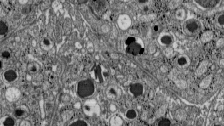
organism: C57BL Mouse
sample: Pancreatic islet